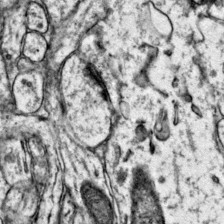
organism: Mouse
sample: Primary visual cortex